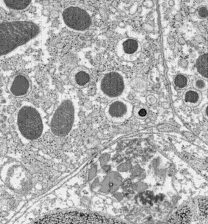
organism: C57BL Mouse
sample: Pancreatic islet